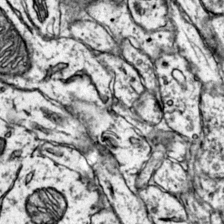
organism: Mouse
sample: Primary visual cortex